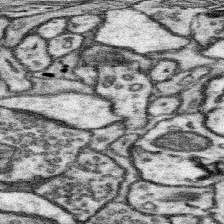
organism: Mouse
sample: Somatosensory cortex neuropil